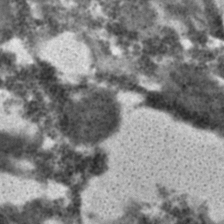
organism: C. elegans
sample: C. elegans embryo